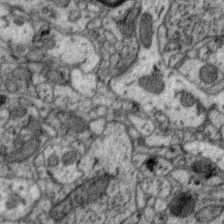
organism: Zebra finch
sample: Brain